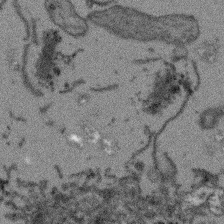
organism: Arabidopsis thaliana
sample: Root tip